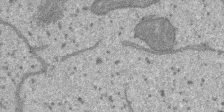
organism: Human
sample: Lung epithelial cells infected with SARS-CoV-2